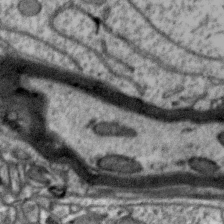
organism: Zebra finch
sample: Brain